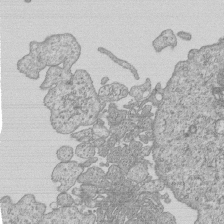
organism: Human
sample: MDA-MB-231 cells